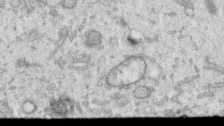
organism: Human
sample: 1205lu cells